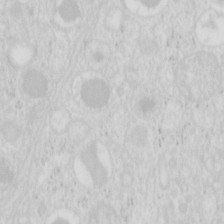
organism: Mouse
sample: Pancreas